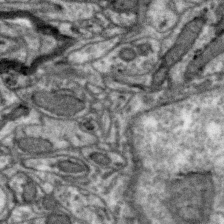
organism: Zebra finch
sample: Brain